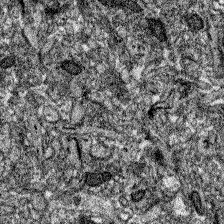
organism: Zebrafish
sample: Larval olfactory bulb